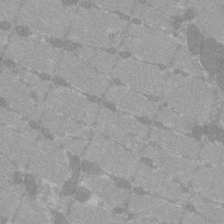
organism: C57BL Mouse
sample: Tibialis anterior muscle cell